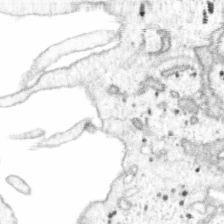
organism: Human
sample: HeLa cells